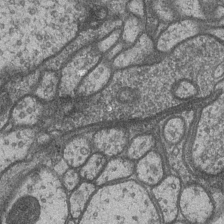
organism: Drosophila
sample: Optic medulla